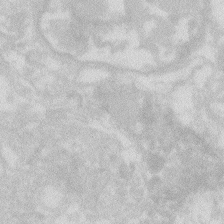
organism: Zebrafish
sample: Macrophage